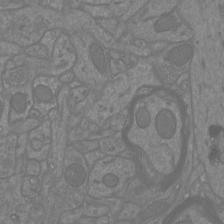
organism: Mouse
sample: Cortical neurons